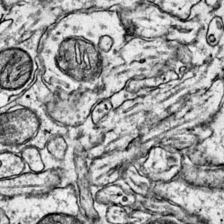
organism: Mouse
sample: Primary visual cortex